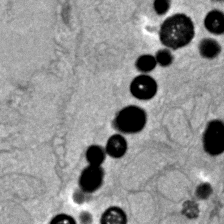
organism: Zebrafish